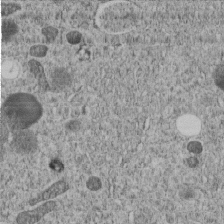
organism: C. elegans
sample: C. elegans embryo early stage